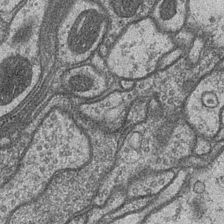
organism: Drosophila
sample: Optic medulla